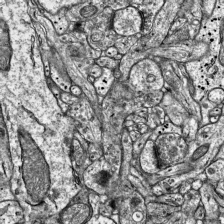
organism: Mouse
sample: Visual Cortex